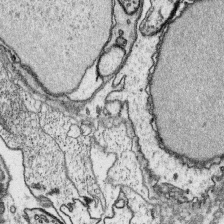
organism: Platynereis dumerilii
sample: Parapodia